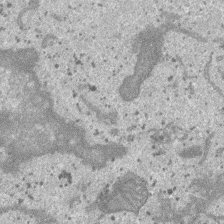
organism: Human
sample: Lung epithelial cells infected with SARS-CoV-2